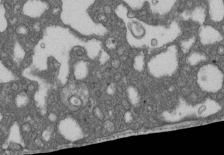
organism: Drosophila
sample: Nephrocyte